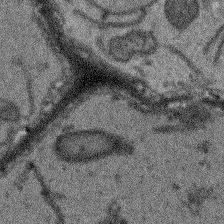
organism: Arabidopsis thaliana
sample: Root tip